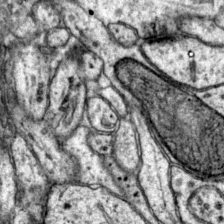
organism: Mouse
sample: Primary visual cortex